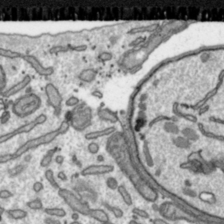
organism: Toxoplasma gondii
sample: Parasites in a vacuole inside a host cell